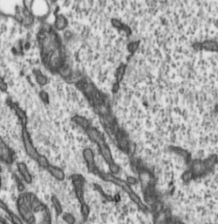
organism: Toxoplasma gondii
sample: Parasites in a vacuole inside a host cell